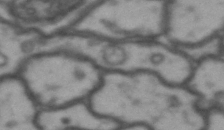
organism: Drosophila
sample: Brain